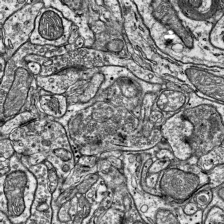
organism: Mouse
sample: Visual Cortex